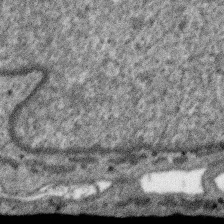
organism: Human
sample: Lung epithelial cells infected with SARS-CoV-2